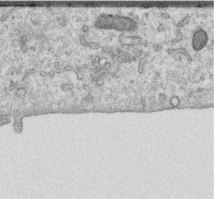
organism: Human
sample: Centriole in RPE cells